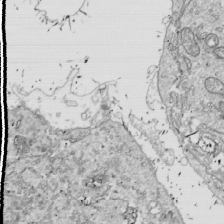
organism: Drosophila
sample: Cell division; meiosis; drosophila spermatocytes